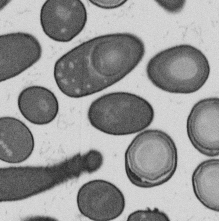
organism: B. subtilis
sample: Bacterial spore